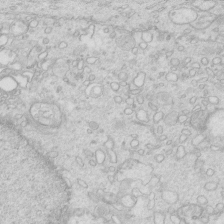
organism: Mouse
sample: Multiciliated cells